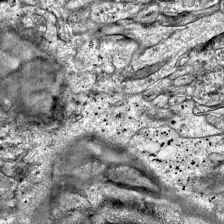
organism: Mouse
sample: Visual Cortex